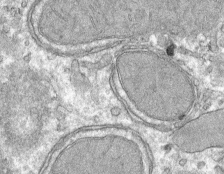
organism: Mouse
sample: Mouse hepatocytes